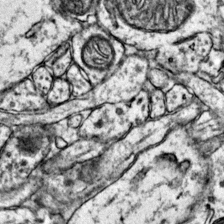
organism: Mouse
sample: Primary visual cortex